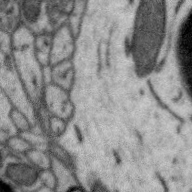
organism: Zebra finch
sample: Brain